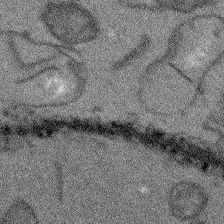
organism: Arabidopsis thaliana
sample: Root tip